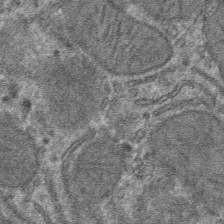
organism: Mouse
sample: Mouse hepatocytes